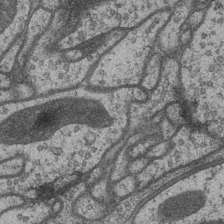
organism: Drosophila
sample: Optic medulla